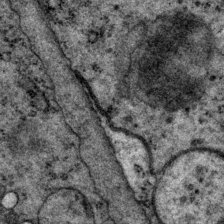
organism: P. pacificus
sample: Pharynx